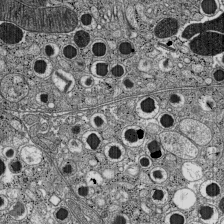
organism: C57BL Mouse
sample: Pancreatic islet